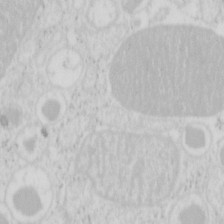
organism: Mouse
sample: Pancreas